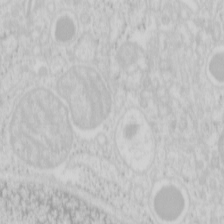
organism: Mouse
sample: Pancreas